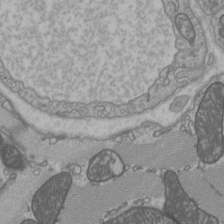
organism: C57BL Mouse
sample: Heart